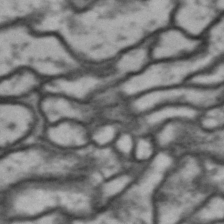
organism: Drosophila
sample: Brain